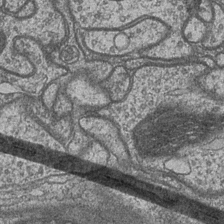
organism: Drosophila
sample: Optic medulla